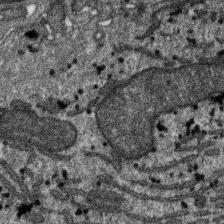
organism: Human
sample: Lung epithelial cells infected with SARS-CoV-2